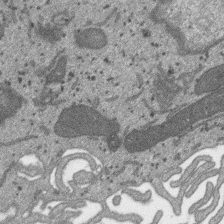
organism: Human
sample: Lung epithelial cells infected with SARS-CoV-2